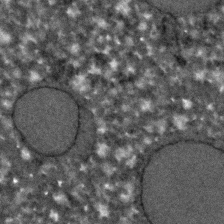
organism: C. elegans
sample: C. elegans embryo